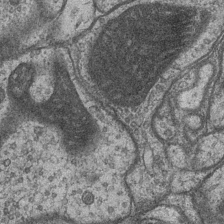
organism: Drosophila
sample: Optic medulla